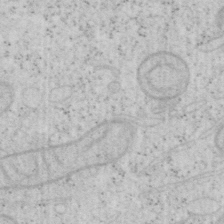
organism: Human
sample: HeLa cells